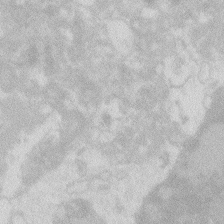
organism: Zebrafish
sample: Macrophage